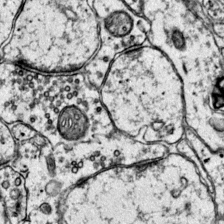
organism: Mouse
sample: Primary visual cortex